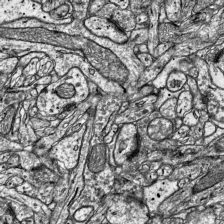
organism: Mouse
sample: Visual Cortex